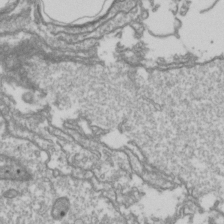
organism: Drosophila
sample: Cell division; meiosis; drosophila spermatocytes